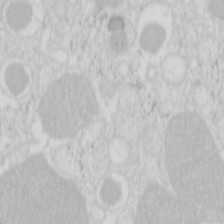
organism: Mouse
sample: Pancreas